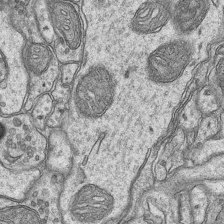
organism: Mouse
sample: CA1 Hippocampus